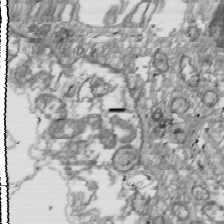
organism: Drosophila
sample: Cell division; meiosis; drosophila spermatocytes